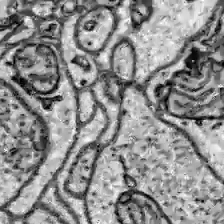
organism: Zebrafish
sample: Brain